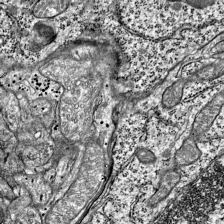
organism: Mouse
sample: Visual Cortex